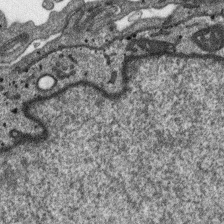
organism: Human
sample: Lung epithelial cells infected with SARS-CoV-2